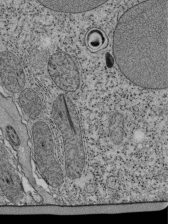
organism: Tetrahymena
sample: Cilia in tetrahymena